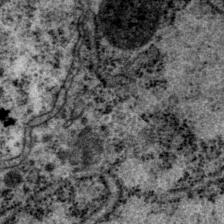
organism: P. pacificus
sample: Pharynx